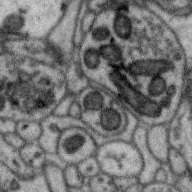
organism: Zebra finch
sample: Brain